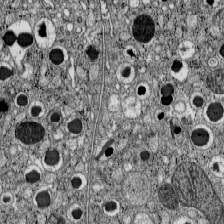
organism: C57BL Mouse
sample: Pancreatic islet